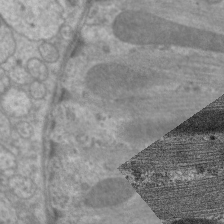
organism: C. elegans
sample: Pharynx